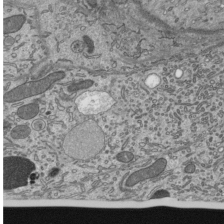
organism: Mouse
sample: Mouse epididymis efferent ductule cilia